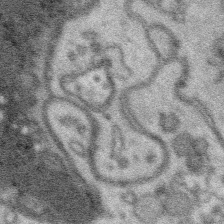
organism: Platynereis dumerilii